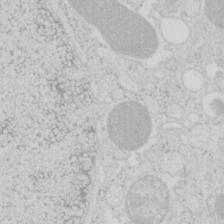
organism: Mouse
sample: Pancreas